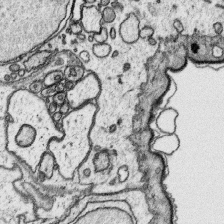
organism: Platynereis dumerilii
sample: Parapodia